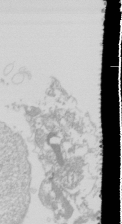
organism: Drosophila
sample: Cell division; meiosis; drosophila spermatocytes